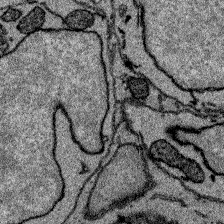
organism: Zebrafish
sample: Larval olfactory bulb